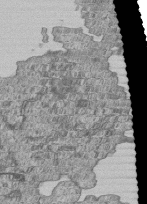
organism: Human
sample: MDA-MB-231 cells